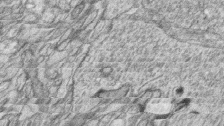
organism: Zebrafish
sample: synaptic ribbons in rod cells and cone cells